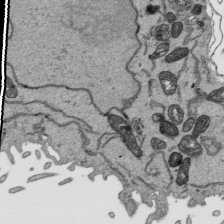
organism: Human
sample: Mitochondria in HCT116 cells